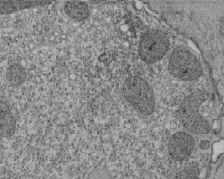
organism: Tetrahymena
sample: Cilia in tetrahymena